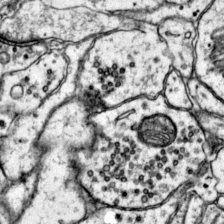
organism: Mouse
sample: Primary visual cortex